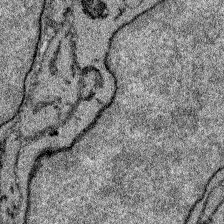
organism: Zebrafish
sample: Larval olfactory bulb